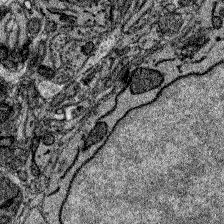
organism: Zebrafish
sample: Larval olfactory bulb